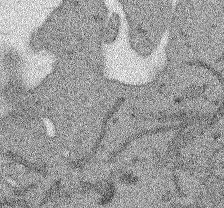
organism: Human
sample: HeLa cells